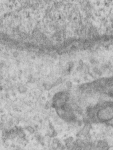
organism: Human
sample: Centriole in RPE cells